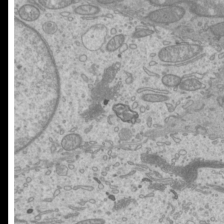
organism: Mouse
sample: Cilia; mouse epididymis